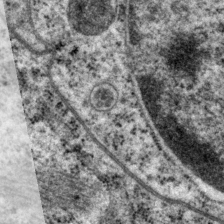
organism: P. pacificus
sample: Pharynx